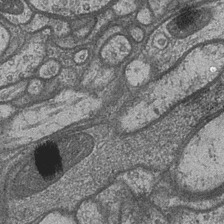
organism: Drosophila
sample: Optic medulla